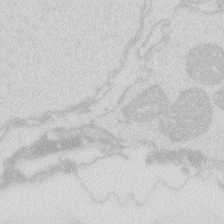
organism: Zebrafish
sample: Macrophage